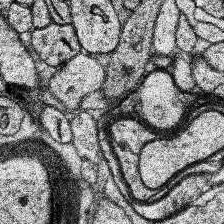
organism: Human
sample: Temporal Lobe